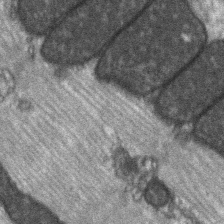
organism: C57BL Mouse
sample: Soleus